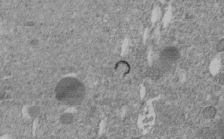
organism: C. elegans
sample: C. elegans embryo early stage